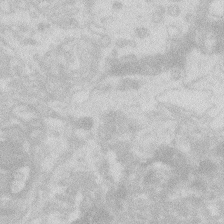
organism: Zebrafish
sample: Macrophage